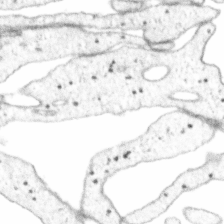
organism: Human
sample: HeLa cells